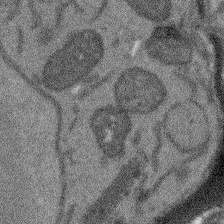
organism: Arabidopsis thaliana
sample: Root tip